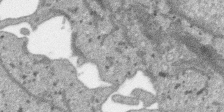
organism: Human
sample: Lung epithelial cells infected with SARS-CoV-2